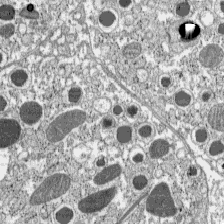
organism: C57BL Mouse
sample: Pancreatic islet